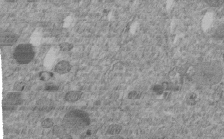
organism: C. elegans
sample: C. elegans embryo early stage